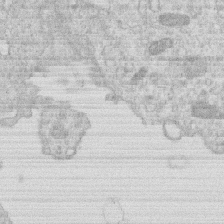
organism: Human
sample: Macrophage cells